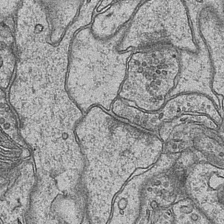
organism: Mouse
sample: CA1 Hippocampus